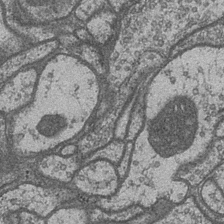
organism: Drosophila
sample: Optic medulla